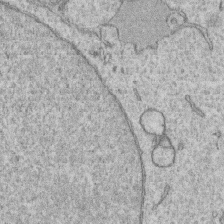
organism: Human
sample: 1205lu cells